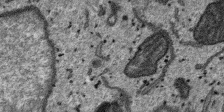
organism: Human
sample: Lung epithelial cells, uninfected (mock) control